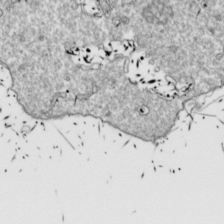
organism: Drosophila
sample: Cell division; meiosis; drosophila spermatocytes